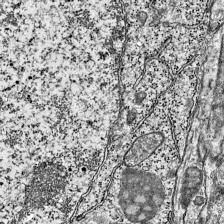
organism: Mouse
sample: Visual Cortex